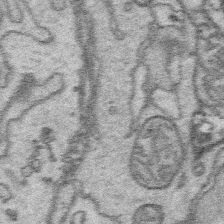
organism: Platynereis dumerilii